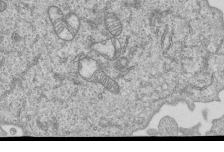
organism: Human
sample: MDA-MB-231 cells